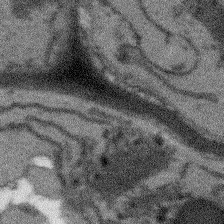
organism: Arabidopsis thaliana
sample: Root tip